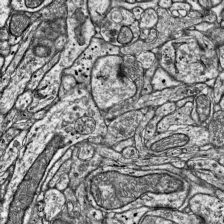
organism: Mouse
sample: Visual Cortex